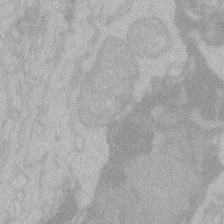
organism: Zebrafish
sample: Macrophage infected with Toxoplasma gondii